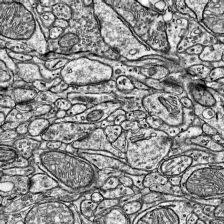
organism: Mouse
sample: Visual Cortex